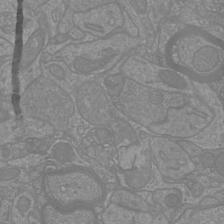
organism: Mouse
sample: Cortical neurons